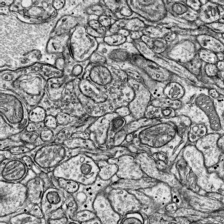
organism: Mouse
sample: Visual Cortex